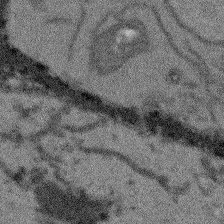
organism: Arabidopsis thaliana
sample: Root tip